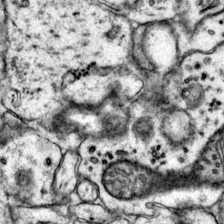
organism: Mouse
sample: Primary visual cortex